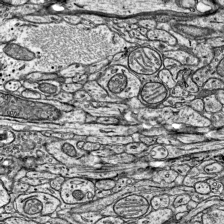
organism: Mouse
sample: Visual Cortex